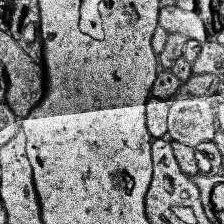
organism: Human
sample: Temporal Lobe